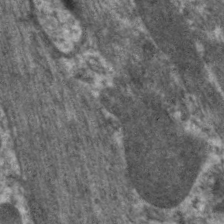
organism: C. elegans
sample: Pharynx